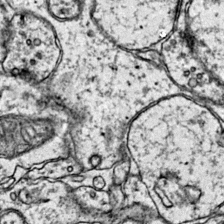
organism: Mouse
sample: Primary visual cortex